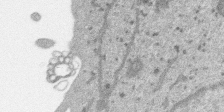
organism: Human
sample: Lung epithelial cells infected with SARS-CoV-2